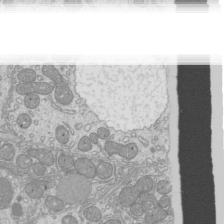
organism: Mouse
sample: Cilia; mouse epididymis